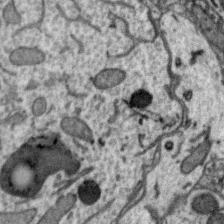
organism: Zebra finch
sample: Brain